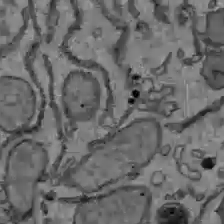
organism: C57BL Mouse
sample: Liver